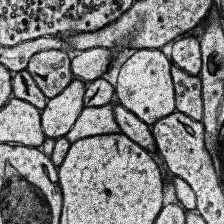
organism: Human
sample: Temporal Lobe